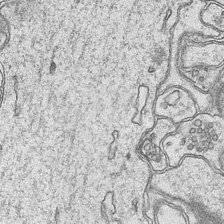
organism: Mouse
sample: CA1 Hippocampus